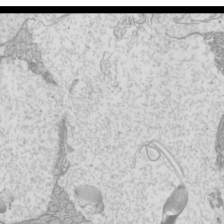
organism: Mouse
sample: Cilia; mouse epididymis